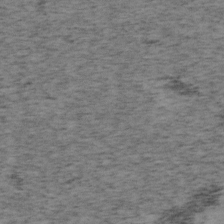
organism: Mouse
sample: OT-I killer T cells with ID8 ovarian cancer cells